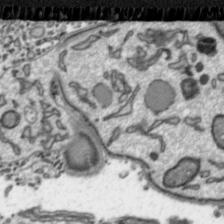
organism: Toxoplasma gondii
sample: Parasites in a vacuole inside a host cell